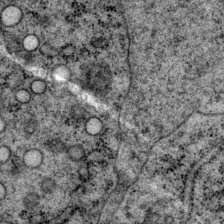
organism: P. pacificus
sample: Pharynx